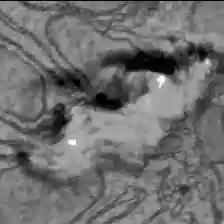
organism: C57BL Mouse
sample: Liver